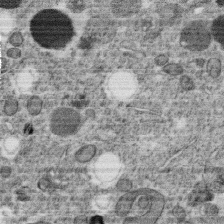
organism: C. elegans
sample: C. elegans oocyte; sperm cells